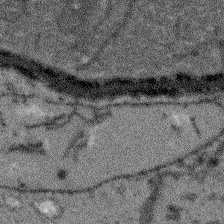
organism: Arabidopsis thaliana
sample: Root tip